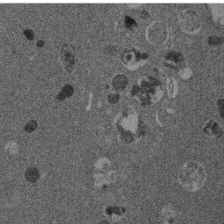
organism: Mouse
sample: Dividing mouse embryo 1 cell stage